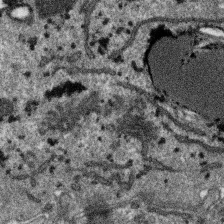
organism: Human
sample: Lung epithelial cells infected with SARS-CoV-2